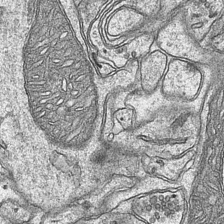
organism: Mouse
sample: CA1 Hippocampus